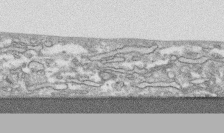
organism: Human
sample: CRL-1474